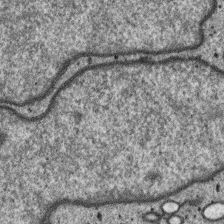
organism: Human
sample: Lung epithelial cells infected with SARS-CoV-2